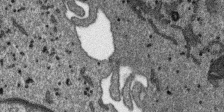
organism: Human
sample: Lung epithelial cells infected with SARS-CoV-2